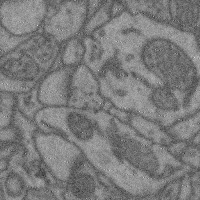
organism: Mouse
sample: Cerebral cortex